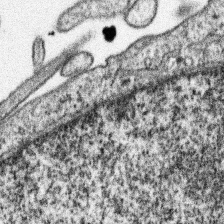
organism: Human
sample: HeLa cells